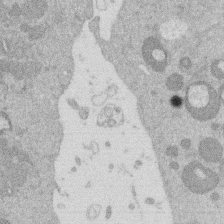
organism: Mouse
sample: Dividing mouse embryo 1 cell stage